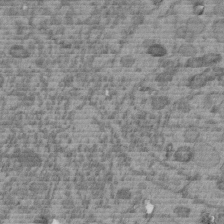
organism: C. elegans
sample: C. elegans embryo early stage